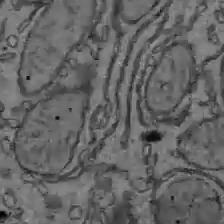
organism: C57BL Mouse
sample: Liver